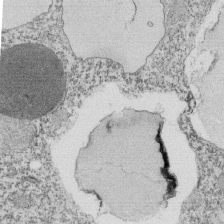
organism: Tetrahymena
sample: Cilia in tetrahymena